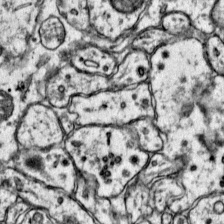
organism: Mouse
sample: Primary visual cortex